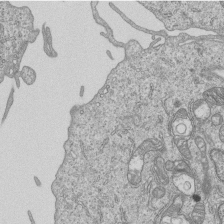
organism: Human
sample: MDA-MB-231 cells